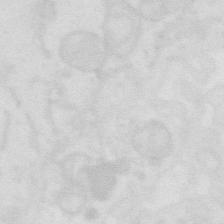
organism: Human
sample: HeLa cells